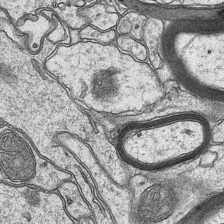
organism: Mouse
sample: CA1 Hippocampus